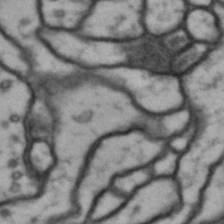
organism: Drosophila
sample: Brain